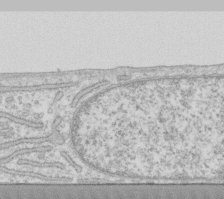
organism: Human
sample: Fibroblast cells